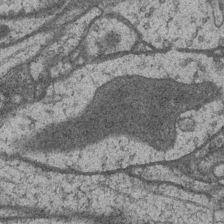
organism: Drosophila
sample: Optic medulla